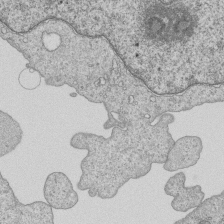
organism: Human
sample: MDA-MB-231 cells